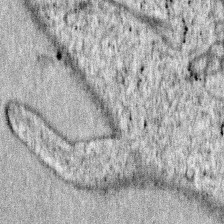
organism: Human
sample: HeLa cells